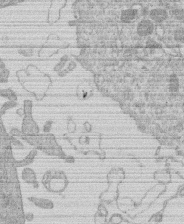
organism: Human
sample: Macrophage cells